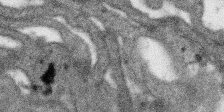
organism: Human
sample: Lung epithelial cells infected with SARS-CoV-2